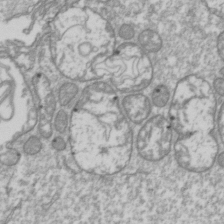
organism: Drosophila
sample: Cell division; meiosis; drosophila spermatocytes